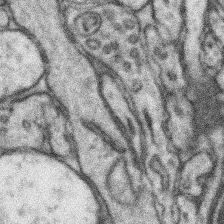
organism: Mouse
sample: Somatosensory cortex neuropil